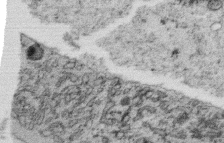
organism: C. elegans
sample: C. elegans oocyte; sperm cells